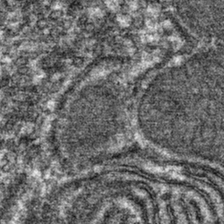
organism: Mouse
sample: Mouse hepatocytes